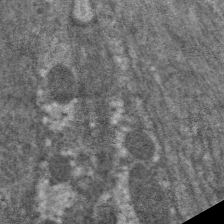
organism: C. elegans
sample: Pharynx